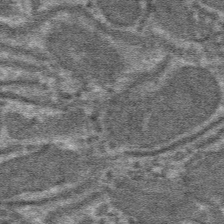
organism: Mouse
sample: Mouse hepatocytes